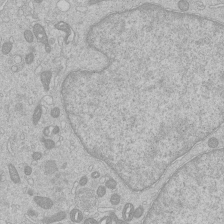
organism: Human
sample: Macrophage cells